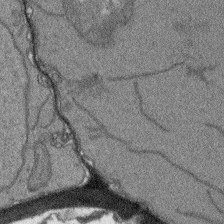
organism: Arabidopsis thaliana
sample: Root tip